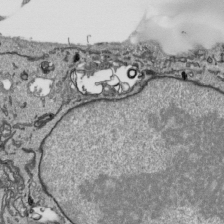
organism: Human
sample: Mitochondria in HCT116 cells